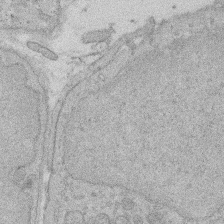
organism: Rat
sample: Salivary granule